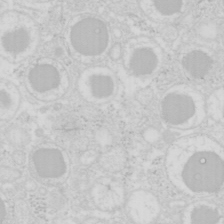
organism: Mouse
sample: Pancreas